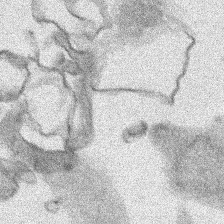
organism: Human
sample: Mitochondria in HCT116 cells